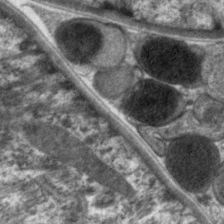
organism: C. elegans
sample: Pharynx